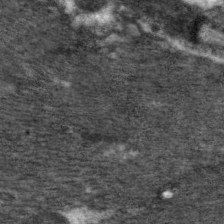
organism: C. elegans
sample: Pharynx